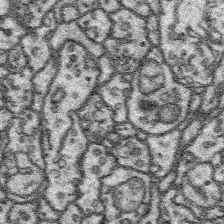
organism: Platynereis dumerilii